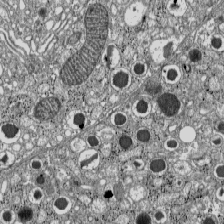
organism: C57BL Mouse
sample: Pancreatic islet